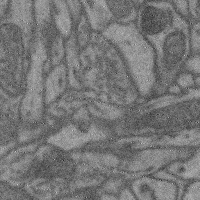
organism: Mouse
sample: Cerebral cortex